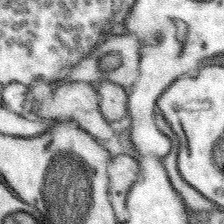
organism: Mouse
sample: Somatosensory cortex neuropil